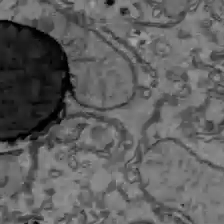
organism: C57BL Mouse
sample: Liver